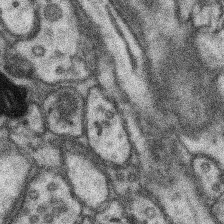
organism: Mouse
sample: Somatosensory cortex neuropil